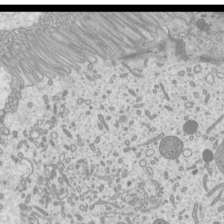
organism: Mouse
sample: Cilia; mouse epididymis